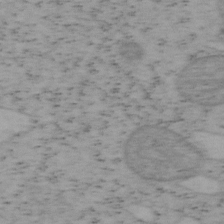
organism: Mouse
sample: OT-I killer T cells with ID8 ovarian cancer cells